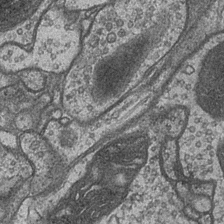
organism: Drosophila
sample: Optic medulla